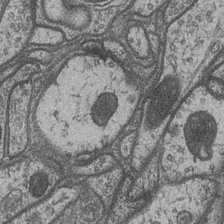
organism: Drosophila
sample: Optic medulla